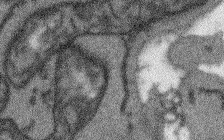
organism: Arabidopsis thaliana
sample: Root tip